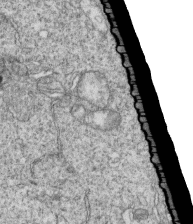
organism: Human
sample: HeLa cell HIV synapse